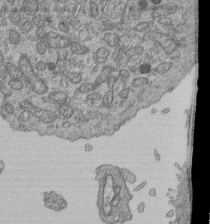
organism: Human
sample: Retinal organoid Rod and Cone cells